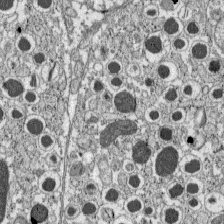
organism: C57BL Mouse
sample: Pancreatic islet